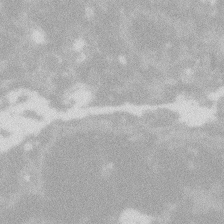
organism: Zebrafish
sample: Macrophage